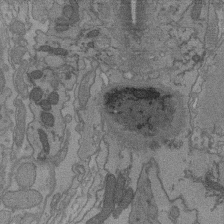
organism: C. elegans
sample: AFD neurons C. elegans